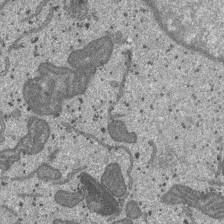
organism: Human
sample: Lung epithelial cells infected with SARS-CoV-2